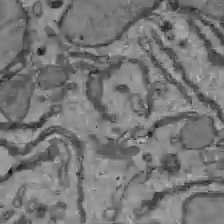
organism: C57BL Mouse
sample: Liver